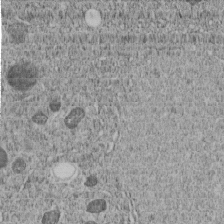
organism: C. elegans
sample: C. elegans embryo early stage